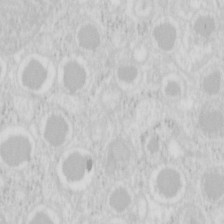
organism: Mouse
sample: Pancreas